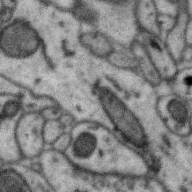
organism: Zebra finch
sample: Brain